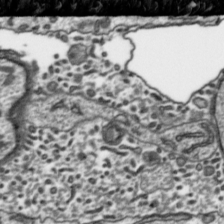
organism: Toxoplasma gondii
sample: Parasites in a vacuole inside a host cell